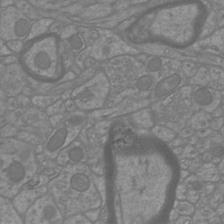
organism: Mouse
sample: Cortical neurons